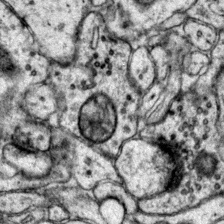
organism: Mouse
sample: Primary visual cortex